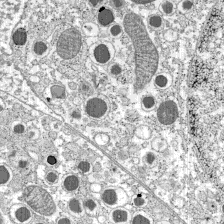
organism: C57BL Mouse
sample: Pancreatic islet